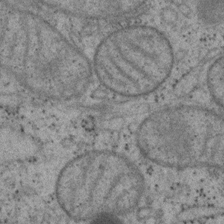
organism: Human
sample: HeLa cells